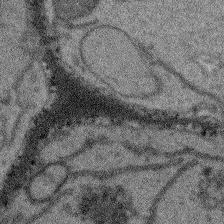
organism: Arabidopsis thaliana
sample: Root tip